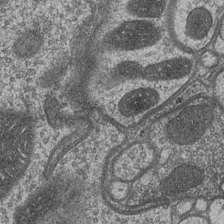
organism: Drosophila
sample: Optic medulla